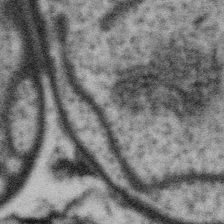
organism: Gemmata obscuriglobus